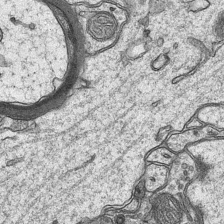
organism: Mouse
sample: CA1 Hippocampus